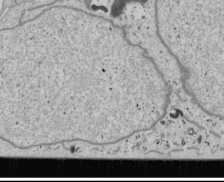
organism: Human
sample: Mitochondria in U2OS cells